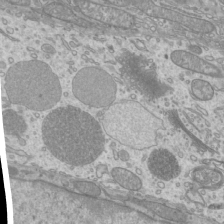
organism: Mouse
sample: Cilia; mouse epididymis